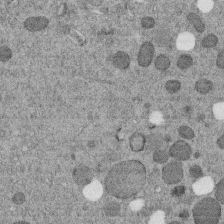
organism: C. elegans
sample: C. elegans embryo early stage